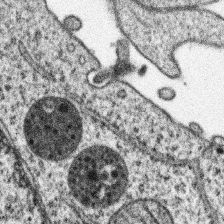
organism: Human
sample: HeLa cells